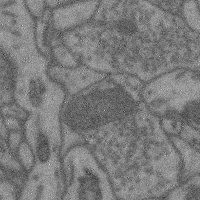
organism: Mouse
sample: Cerebral cortex